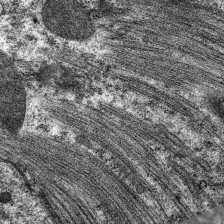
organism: C. elegans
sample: Pharynx